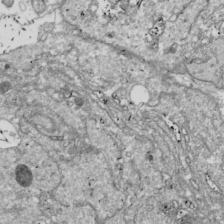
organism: Drosophila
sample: Cell division; meiosis; drosophila spermatocytes